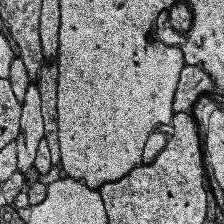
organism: Human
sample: Temporal Lobe